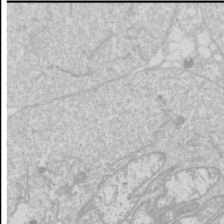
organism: Drosophila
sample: Cell division; meiosis; drosophila spermatocytes